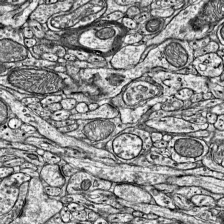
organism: Mouse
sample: Visual Cortex